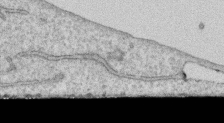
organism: Human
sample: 1205lu cells